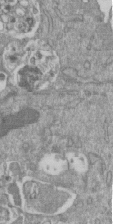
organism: Mouse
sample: ED-1 cell nuclei; centrioles